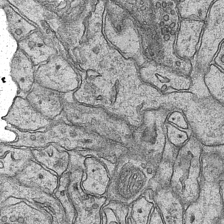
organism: Mouse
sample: CA1 Hippocampus